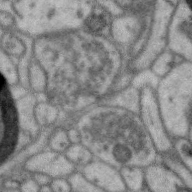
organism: Zebra finch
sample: Brain